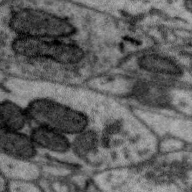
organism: Zebra finch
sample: Brain